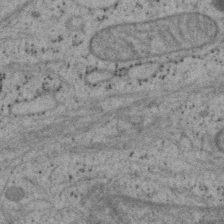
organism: Human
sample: HeLa cells